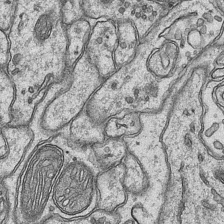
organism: Mouse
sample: CA1 Hippocampus